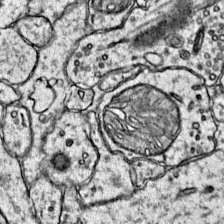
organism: Mouse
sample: Primary visual cortex